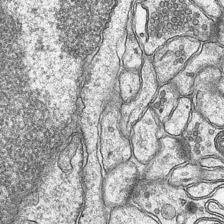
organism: Mouse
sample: CA1 Hippocampus